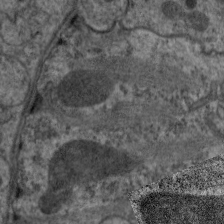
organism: C. elegans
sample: Pharynx